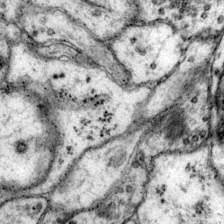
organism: Mouse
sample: Primary visual cortex